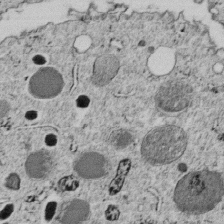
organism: C. elegans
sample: C. elegans embryo early stage